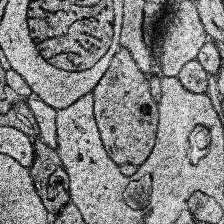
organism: Human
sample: Temporal Lobe